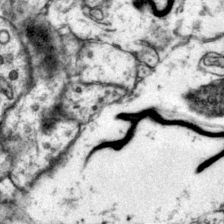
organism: Mouse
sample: Primary visual cortex